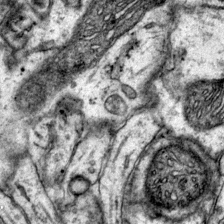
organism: Mouse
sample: Primary visual cortex